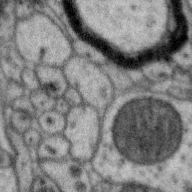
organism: Zebra finch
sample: Brain